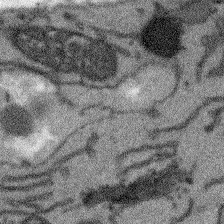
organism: Arabidopsis thaliana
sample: Root tip